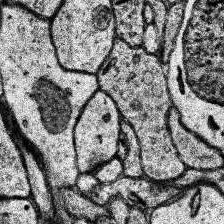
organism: Human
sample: Temporal Lobe